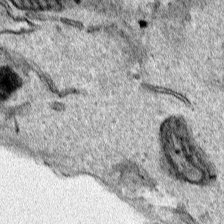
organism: Human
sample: Mitochondria in HCT116 cells